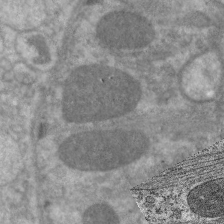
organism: C. elegans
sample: Pharynx